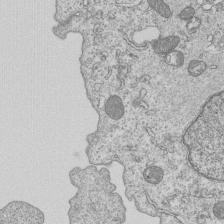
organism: Human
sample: MDA-MB-231 cells